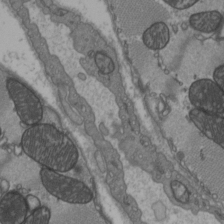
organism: C57BL Mouse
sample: Heart